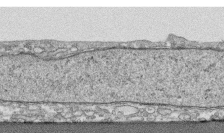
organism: Human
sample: CRL-1474